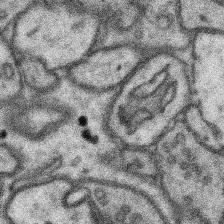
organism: Mouse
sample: Somatosensory cortex neuropil